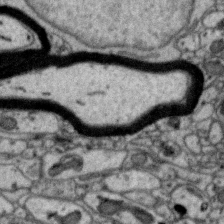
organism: Zebra finch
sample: Brain